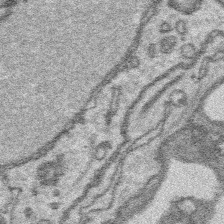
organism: Platynereis dumerilii